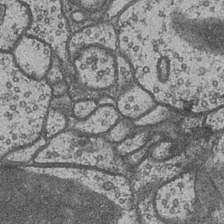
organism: Drosophila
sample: Optic medulla